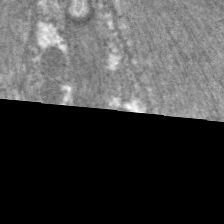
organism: C. elegans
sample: Pharynx